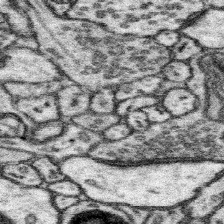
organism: Mouse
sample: Somatosensory cortex neuropil